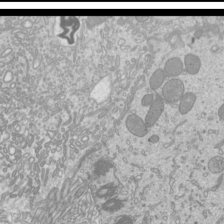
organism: Mouse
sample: Cilia; mouse epididymis